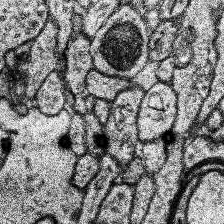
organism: Human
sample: Temporal Lobe